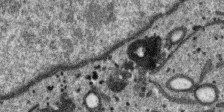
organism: Human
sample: Lung epithelial cells infected with SARS-CoV-2